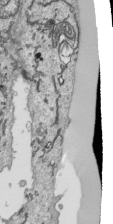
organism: Human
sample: Mitochondria in HCT116 cells